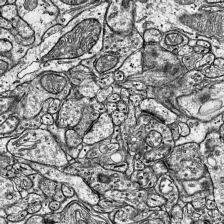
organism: Mouse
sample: Visual Cortex